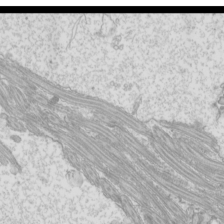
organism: Mouse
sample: Cilia; mouse epididymis